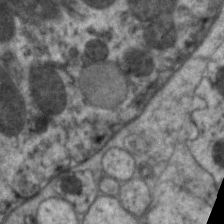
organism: C. elegans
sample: Pharynx